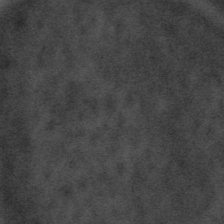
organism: Tuwongella immobilis